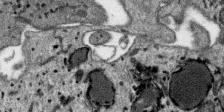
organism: Human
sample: Lung epithelial cells, uninfected (mock) control